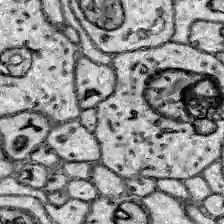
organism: Zebrafish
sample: Brain